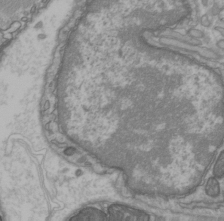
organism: C57BL Mouse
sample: Heart